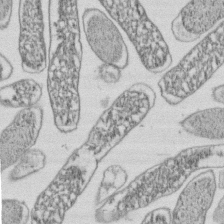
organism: E. coli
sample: Bacterial nucleoid